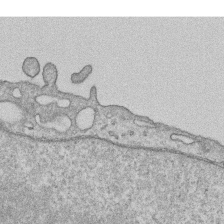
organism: Human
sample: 1205lu cells